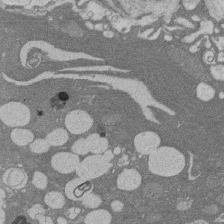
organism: Rat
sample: Salivary granule